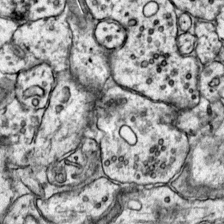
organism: Mouse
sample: Primary visual cortex